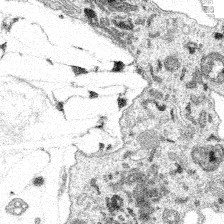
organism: Spongilla lacustris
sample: Multiple